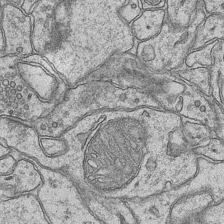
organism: Mouse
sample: CA1 Hippocampus